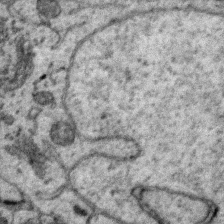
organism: Zebra finch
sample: Brain